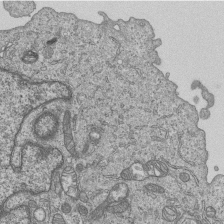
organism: Human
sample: MDA-MB-231 cells